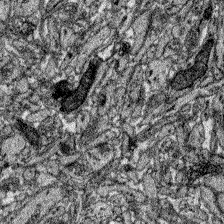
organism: Zebrafish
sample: Larval olfactory bulb